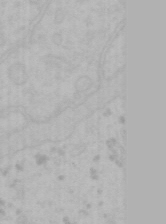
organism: Mouse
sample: Choroid plexus